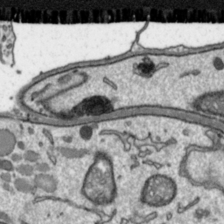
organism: Toxoplasma gondii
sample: Parasites in a vacuole inside a host cell